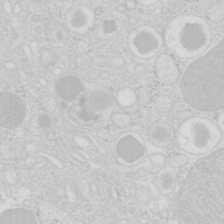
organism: Mouse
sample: Pancreas